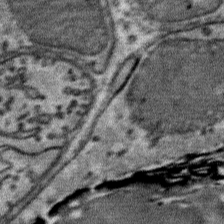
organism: Mouse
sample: Mouse Salivary gland